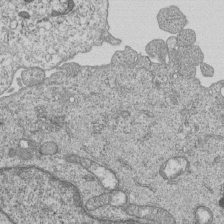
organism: Human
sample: MDA-MB-231 cells